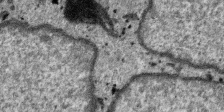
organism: Human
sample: Lung epithelial cells, uninfected (mock) control